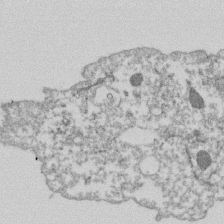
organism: Dictyostelium discoideum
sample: Dictyostelium multivesicular bodies